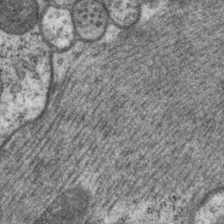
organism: P. pacificus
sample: Pharynx